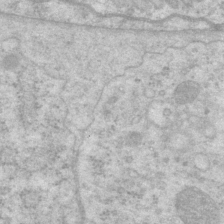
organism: P. pacificus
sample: Pharynx